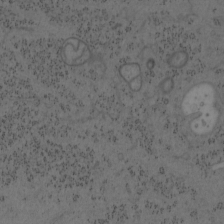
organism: Mouse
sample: OT-I killer T cells with ID8 ovarian cancer cells